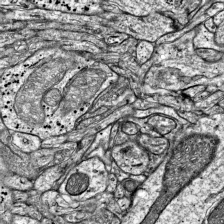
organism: Mouse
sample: Visual Cortex